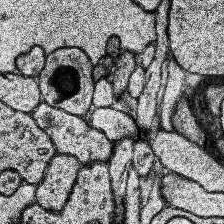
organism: Human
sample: Temporal Lobe